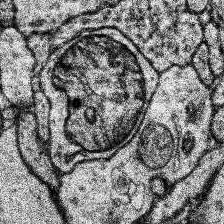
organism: Human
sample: Temporal Lobe